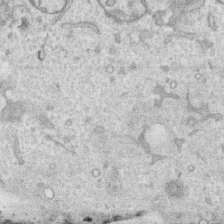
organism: Human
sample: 1205lu cells